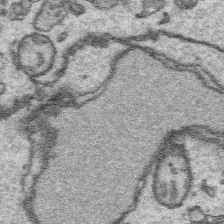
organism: Platynereis dumerilii